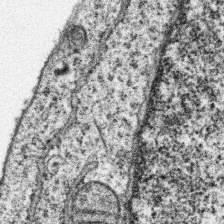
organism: Human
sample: HeLa cells